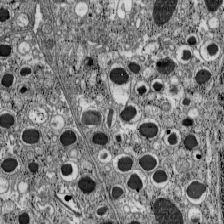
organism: C57BL Mouse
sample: Pancreatic islet